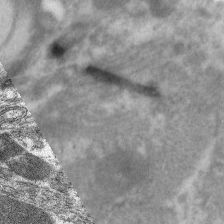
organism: C. elegans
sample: Pharynx